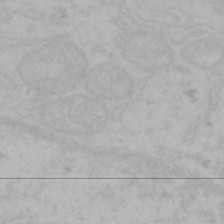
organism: Mouse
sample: Choroid plexus